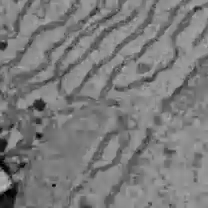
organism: C57BL Mouse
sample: Liver